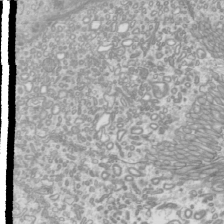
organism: Mouse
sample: Cilia; mouse epididymis